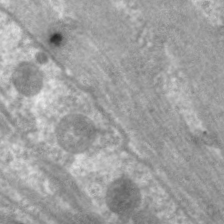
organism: C. elegans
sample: Pharynx